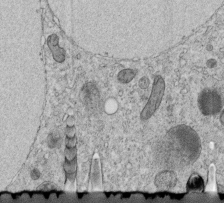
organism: C. elegans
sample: C. elegans embryo early stage